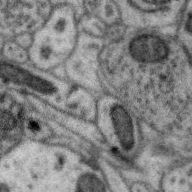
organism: Zebra finch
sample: Brain